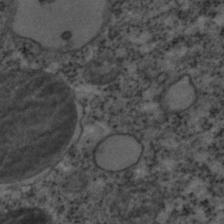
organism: C. elegans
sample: C. elegans embryo